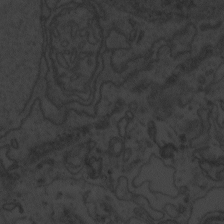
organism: Zebrafish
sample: Macrophage infected with Toxoplasma gondii